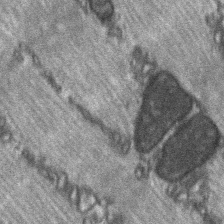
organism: C57BL Mouse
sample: Soleus